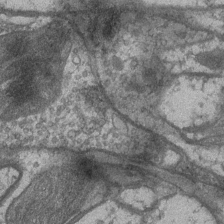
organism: Drosophila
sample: Optic medulla